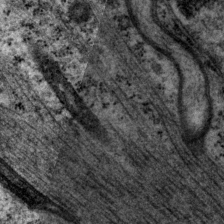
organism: P. pacificus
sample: Pharynx